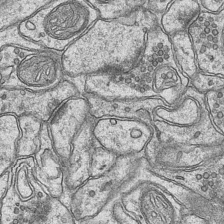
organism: Mouse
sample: CA1 Hippocampus